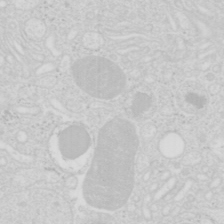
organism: Mouse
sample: Pancreas